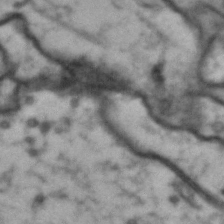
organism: Drosophila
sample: Brain